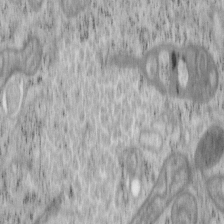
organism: Human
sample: HeLa cells